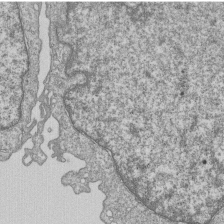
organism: Human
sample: MDA-MB-231 cells